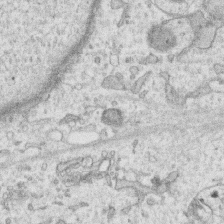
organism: Human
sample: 1205lu cells